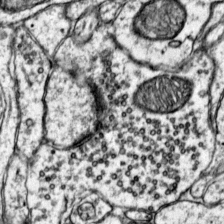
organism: Mouse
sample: Primary visual cortex